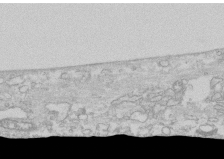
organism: Human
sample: CRL-1474